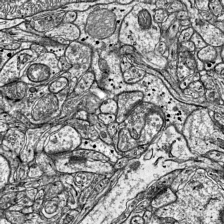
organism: Mouse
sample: Visual Cortex